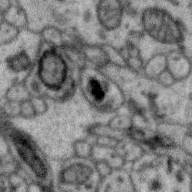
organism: Zebra finch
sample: Brain